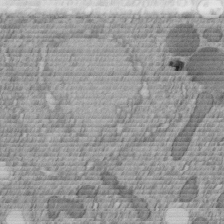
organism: C. elegans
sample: C. elegans embryo early stage